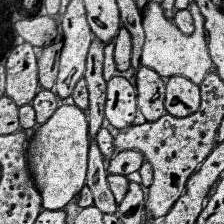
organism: Human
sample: Temporal Lobe